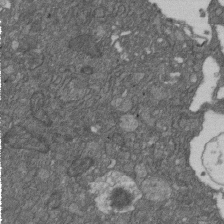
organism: Drosophila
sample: Nephrocyte